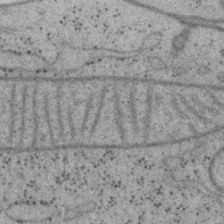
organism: Human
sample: HeLa cells